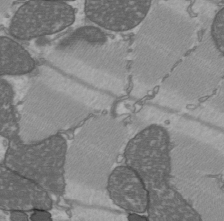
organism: C57BL Mouse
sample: Heart